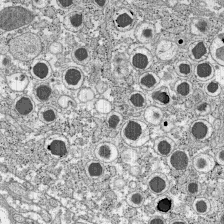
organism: C57BL Mouse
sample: Pancreatic islet